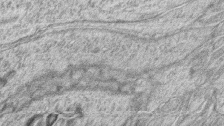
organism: Zebrafish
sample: synaptic ribbons in rod cells and cone cells